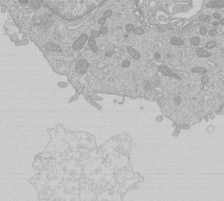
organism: Human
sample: Macrophage cells